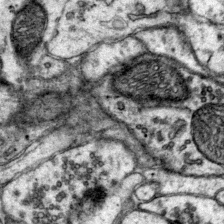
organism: Mouse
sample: Primary visual cortex